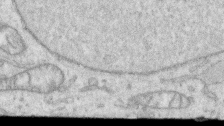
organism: Human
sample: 1205lu cells